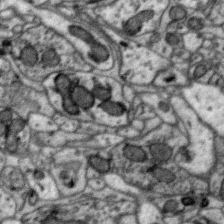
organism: Zebra finch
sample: Brain